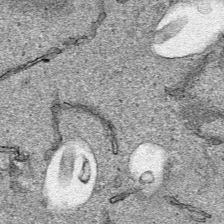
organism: Human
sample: Mitochondria in HCT116 cells